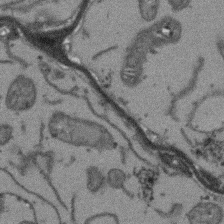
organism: Arabidopsis thaliana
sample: Root tip